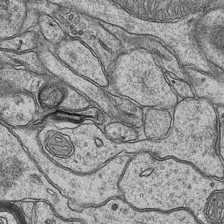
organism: Mouse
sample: CA1 Hippocampus